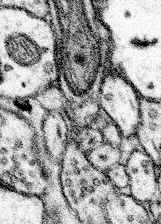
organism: Mouse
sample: Somatosensory cortex neuropil